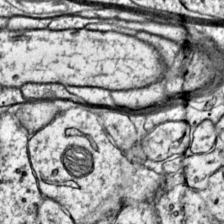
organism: Mouse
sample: Primary visual cortex